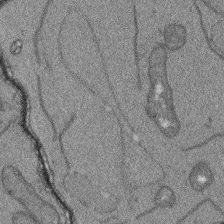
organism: Arabidopsis thaliana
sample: Root tip